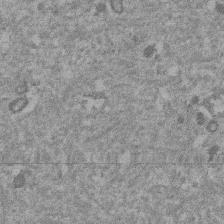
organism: Mouse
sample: Dividing mouse embryo 1 cell stage